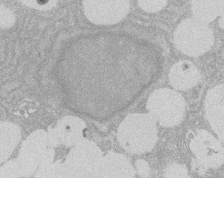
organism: Rat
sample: Salivary granule